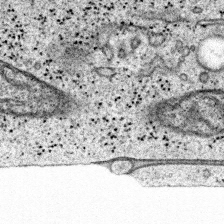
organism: Human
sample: HeLa cells